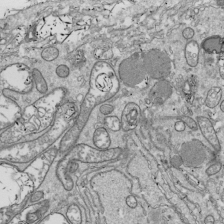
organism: Drosophila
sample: Cell division; meiosis; drosophila spermatocytes